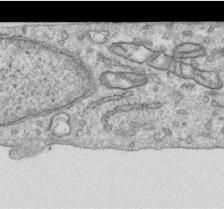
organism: Human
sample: Centriole in RPE cells